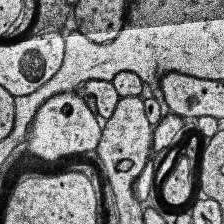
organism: Human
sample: Temporal Lobe